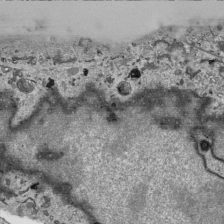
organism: Human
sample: Mitochondria in HCT116 cells